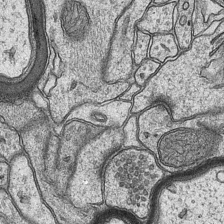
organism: Mouse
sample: CA1 Hippocampus